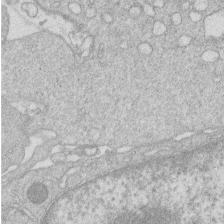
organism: Human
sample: Macrophage cells